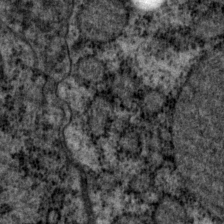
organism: P. pacificus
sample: Pharynx